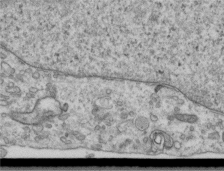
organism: Human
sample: Centriole in RPE cells